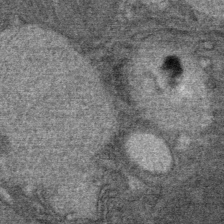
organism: Mouse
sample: Mouse Salivary gland